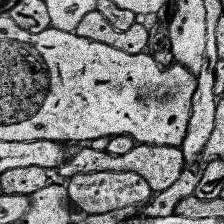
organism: Human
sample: Temporal Lobe